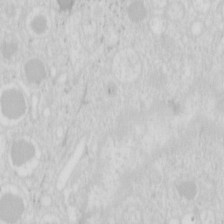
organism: Mouse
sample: Pancreas